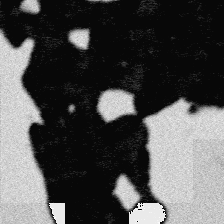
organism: Platynereis dumerilii